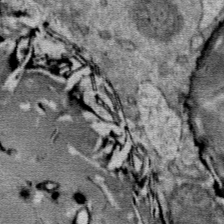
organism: Mouse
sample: Mouse Salivary gland